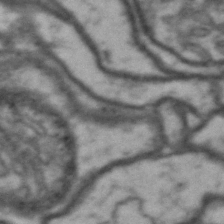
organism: Drosophila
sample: Brain